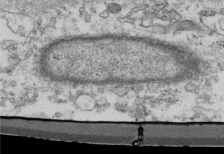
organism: Mouse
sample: Cilia; retinal pigment epithelium